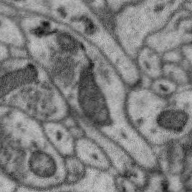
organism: Zebra finch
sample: Brain